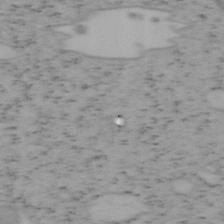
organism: Mouse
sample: OT-I killer T cells with ID8 ovarian cancer cells